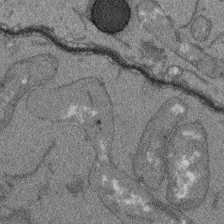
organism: Arabidopsis thaliana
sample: Root tip